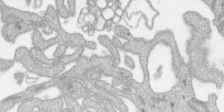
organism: Human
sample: Lung epithelial cells infected with SARS-CoV-2